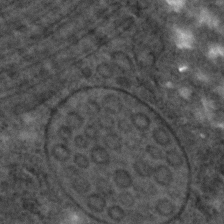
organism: C. elegans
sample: C. elegans embryo